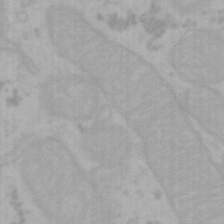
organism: Mouse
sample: Choroid plexus